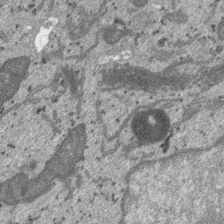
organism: Human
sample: Lung epithelial cells infected with SARS-CoV-2